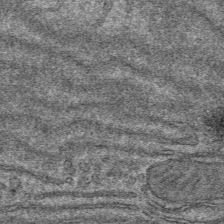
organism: Mouse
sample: Mouse hepatocytes